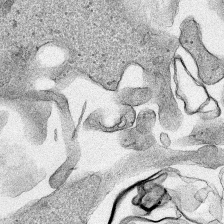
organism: Human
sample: Mitochondria in HCT116 cells